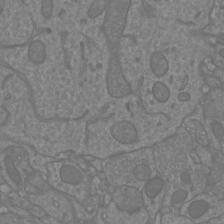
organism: Mouse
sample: Cortical neurons